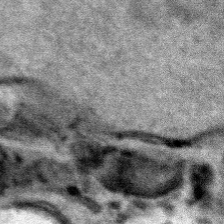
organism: Human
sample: Mitochondria in HCT116 cells